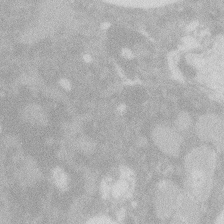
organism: Zebrafish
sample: Macrophage